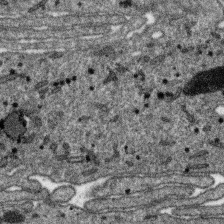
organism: Human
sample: Lung epithelial cells infected with SARS-CoV-2